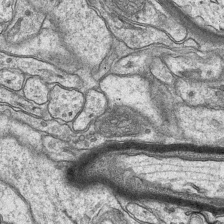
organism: Mouse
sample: CA1 Hippocampus